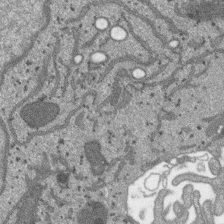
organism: Human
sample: Lung epithelial cells infected with SARS-CoV-2